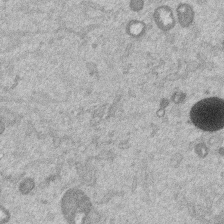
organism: Mouse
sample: Dividing mouse embryo 1 cell stage